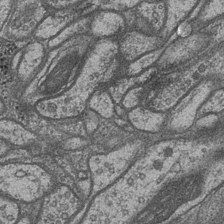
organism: Drosophila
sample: Optic medulla